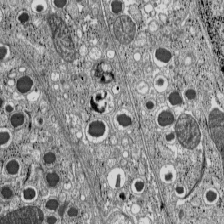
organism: C57BL Mouse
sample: Pancreatic islet